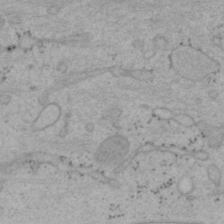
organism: Human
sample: HeLa cells